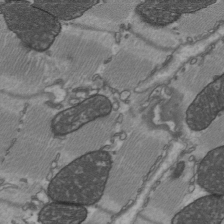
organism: C57BL Mouse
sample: Heart